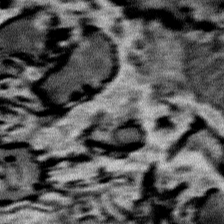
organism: Mouse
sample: Mouse Salivary gland